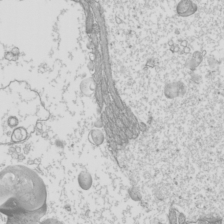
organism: Mouse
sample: Cilia; mouse epididymis